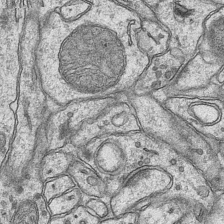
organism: Mouse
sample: CA1 Hippocampus